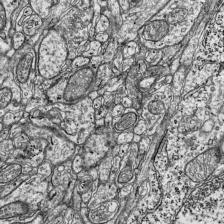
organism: Mouse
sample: Visual Cortex